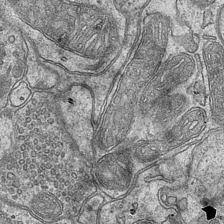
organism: Mouse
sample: CA1 Hippocampus